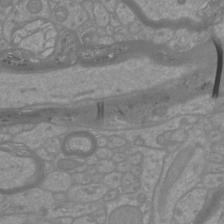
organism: Mouse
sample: Cortical neurons